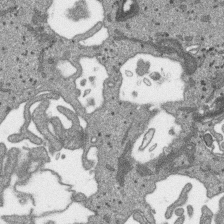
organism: Human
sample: Lung epithelial cells infected with SARS-CoV-2